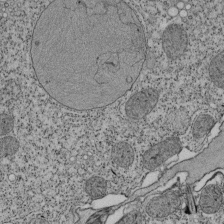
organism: Tetrahymena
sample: Cilia in tetrahymena